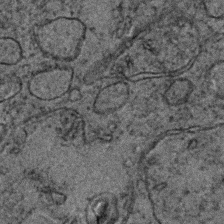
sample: Trachea